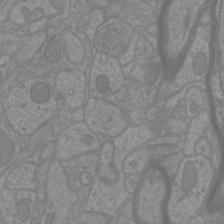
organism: Mouse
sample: Cortical neurons